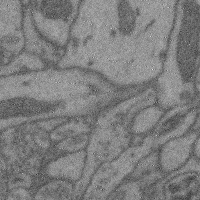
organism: Mouse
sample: Cerebral cortex